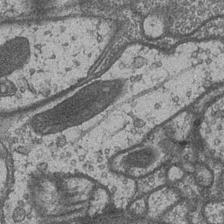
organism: Drosophila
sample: Optic medulla